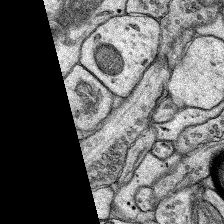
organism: Rat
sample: Hippocampus